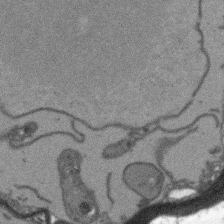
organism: Arabidopsis thaliana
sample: Root tip